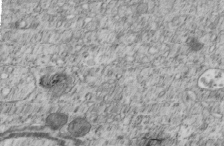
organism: C. elegans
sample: C. elegans embryo early stage